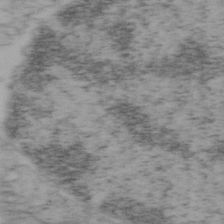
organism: Mouse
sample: OT-I killer T cells with ID8 ovarian cancer cells